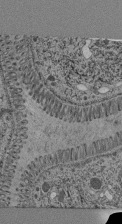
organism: C. elegans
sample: C. elegans pharynx